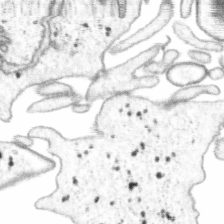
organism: Human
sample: HeLa cells